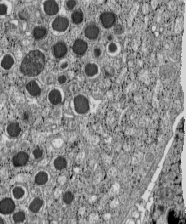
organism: C57BL Mouse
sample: Pancreatic islet